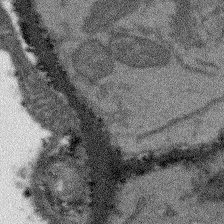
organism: Arabidopsis thaliana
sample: Root tip